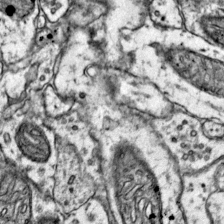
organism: Mouse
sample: Primary visual cortex